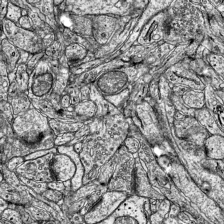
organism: Mouse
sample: Visual Cortex